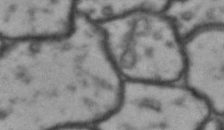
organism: Drosophila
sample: Brain